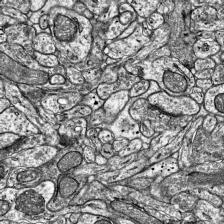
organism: Mouse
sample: Visual Cortex